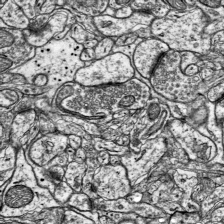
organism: Mouse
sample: Visual Cortex